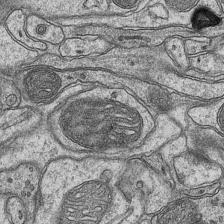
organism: Mouse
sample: CA1 Hippocampus